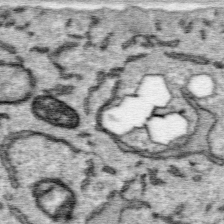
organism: Human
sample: HeLa cells